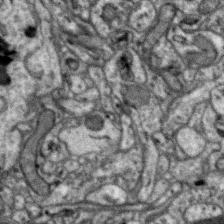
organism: Zebra finch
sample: Brain